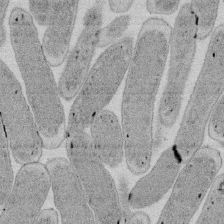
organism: E. coli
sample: Bacterial nucleoid